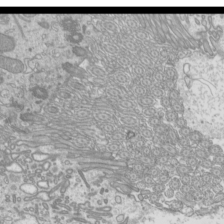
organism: Mouse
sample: Cilia; mouse epididymis